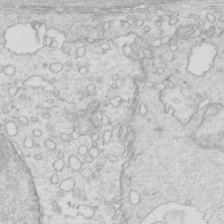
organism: Mouse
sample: Multiciliated cells